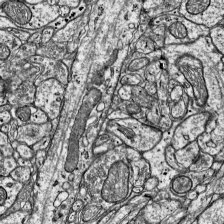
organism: Mouse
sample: Visual Cortex